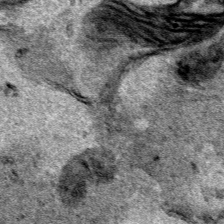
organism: Human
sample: Mitochondria in HCT116 cells